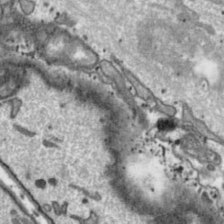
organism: Toxoplasma gondii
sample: Parasites in a vacuole inside a host cell